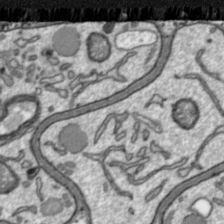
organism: Toxoplasma gondii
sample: Parasites in a vacuole inside a host cell